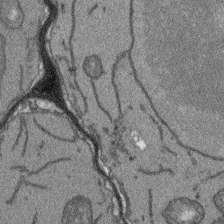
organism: Arabidopsis thaliana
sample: Root tip